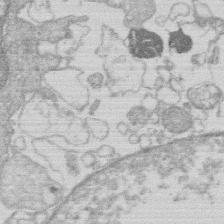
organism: Human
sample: Macrophage cells